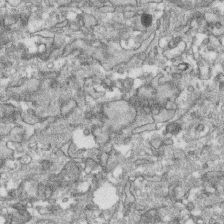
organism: Human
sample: CRL-1474